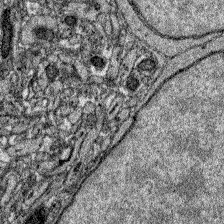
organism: Zebrafish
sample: Larval olfactory bulb